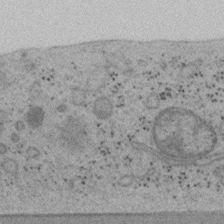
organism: Human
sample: HeLa cells